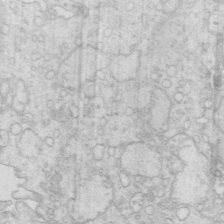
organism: Mouse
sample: Multiciliated cells